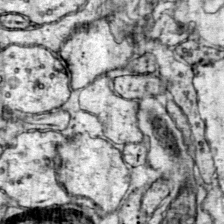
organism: Mouse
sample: Primary visual cortex